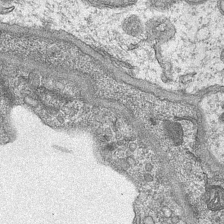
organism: Mouse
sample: CA1 Hippocampus